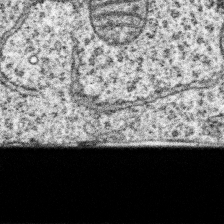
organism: Human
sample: HeLa cells